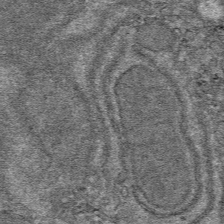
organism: Mouse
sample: Mouse hepatocytes